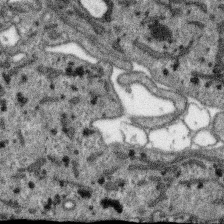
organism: Human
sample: Lung epithelial cells infected with SARS-CoV-2